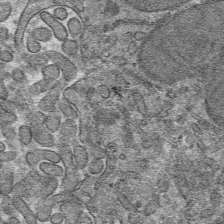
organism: Mouse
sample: Mouse hepatocytes